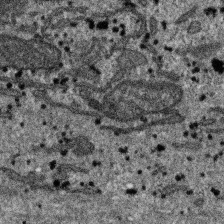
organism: Human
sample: Lung epithelial cells infected with SARS-CoV-2